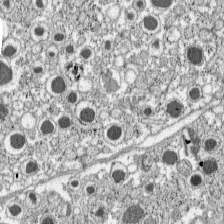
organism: C57BL Mouse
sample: Pancreatic islet